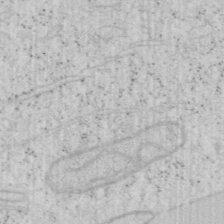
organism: Human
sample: HeLa cells